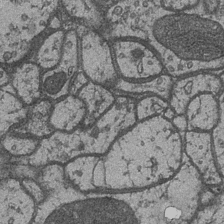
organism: Drosophila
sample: Optic medulla